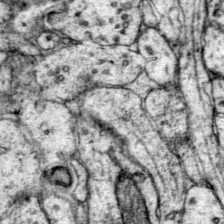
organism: Mouse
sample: Primary visual cortex